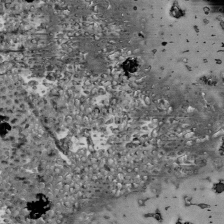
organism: Mouse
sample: ED-1 cell nuclei; centrioles